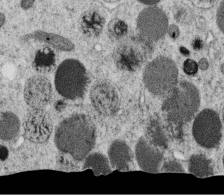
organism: C. elegans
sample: C. elegans oocyte; sperm cells